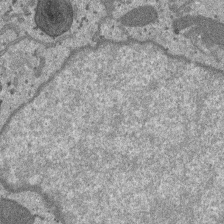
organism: Human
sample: Lung epithelial cells infected with SARS-CoV-2